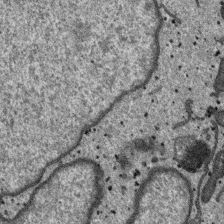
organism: Human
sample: Lung epithelial cells, uninfected (mock) control